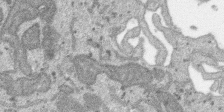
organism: Human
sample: Lung epithelial cells infected with SARS-CoV-2